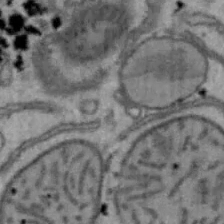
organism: Mouse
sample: Liver